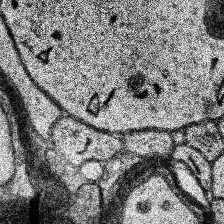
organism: Human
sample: Temporal Lobe